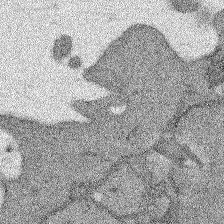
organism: Human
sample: HeLa cells